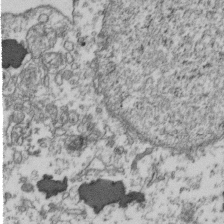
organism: Human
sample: Activated Jurkat CD4+ T cells